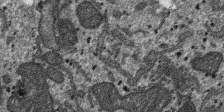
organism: Human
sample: Lung epithelial cells infected with SARS-CoV-2